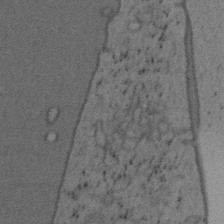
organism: Human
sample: HeLa cells